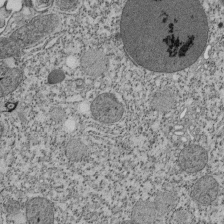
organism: Tetrahymena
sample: Cilia in tetrahymena